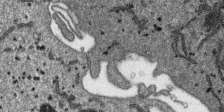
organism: Human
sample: Lung epithelial cells infected with SARS-CoV-2